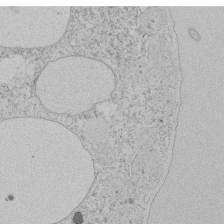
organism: Tetrahymena